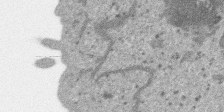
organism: Human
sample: Lung epithelial cells infected with SARS-CoV-2